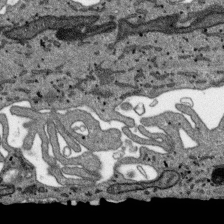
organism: Human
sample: Lung epithelial cells, uninfected (mock) control